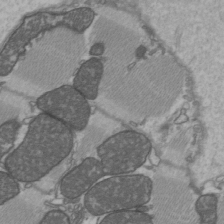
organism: C57BL Mouse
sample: Heart